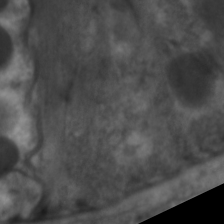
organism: C. elegans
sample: Pharynx